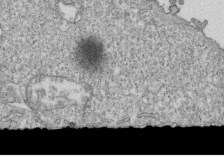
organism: Human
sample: HeLa cell HIV synapse